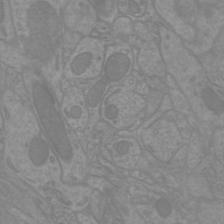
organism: Mouse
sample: Cortical neurons